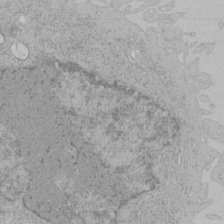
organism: Human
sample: Mitochondria in HCT116 cells